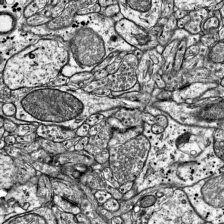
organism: Mouse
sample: Visual Cortex